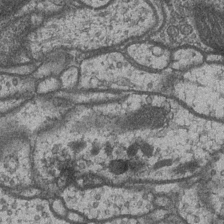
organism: Drosophila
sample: Optic medulla